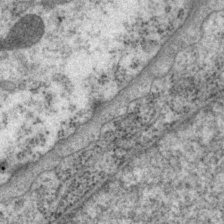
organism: P. pacificus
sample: Pharynx